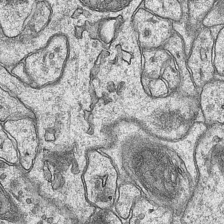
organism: Mouse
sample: CA1 Hippocampus